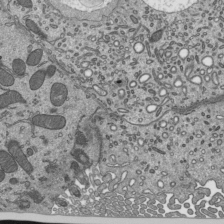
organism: Mouse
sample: Mouse epididymis efferent ductule cilia